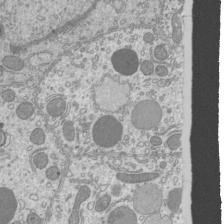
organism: Mouse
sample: Cilia; mouse epididymis